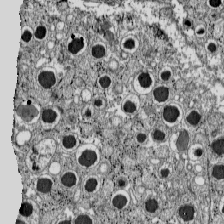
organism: C57BL Mouse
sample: Pancreatic islet